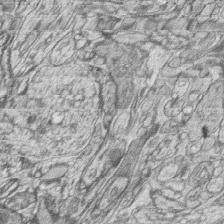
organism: Zebrafish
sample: synaptic ribbons in rod cells and cone cells